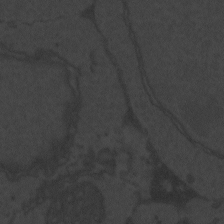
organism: Zebrafish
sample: Macrophage infected with Toxoplasma gondii